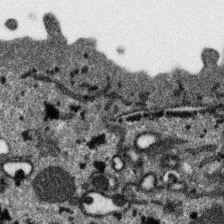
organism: Human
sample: Lung epithelial cells infected with SARS-CoV-2